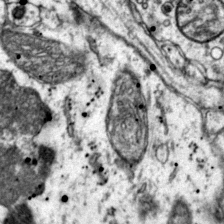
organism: Mouse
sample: Primary visual cortex